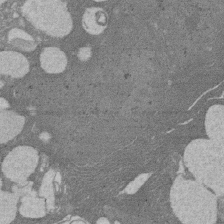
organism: Rat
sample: Salivary granule